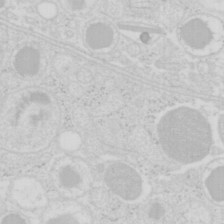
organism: Mouse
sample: Pancreas